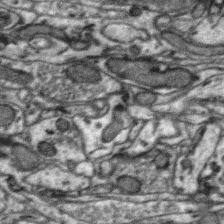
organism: Zebra finch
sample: Brain